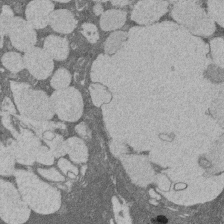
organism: Rat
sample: Salivary granule